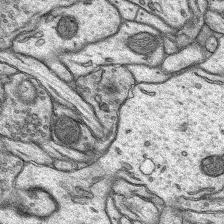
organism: Rat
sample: Hippocampus